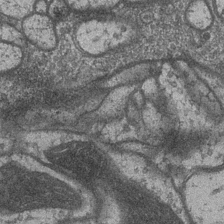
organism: Drosophila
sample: Optic medulla